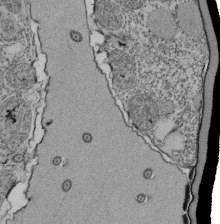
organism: Tetrahymena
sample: Cilia in tetrahymena